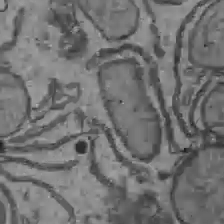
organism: C57BL Mouse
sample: Liver